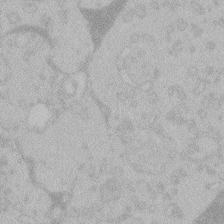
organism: Zebrafish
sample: Macrophage infected with Toxoplasma gondii